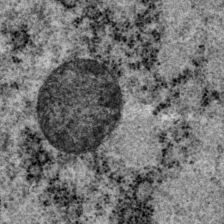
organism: P. pacificus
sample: Pharynx